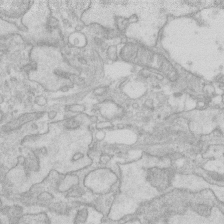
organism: Human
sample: Fibroblast cells